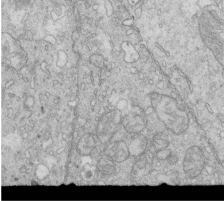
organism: Mouse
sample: Multiciliated cells